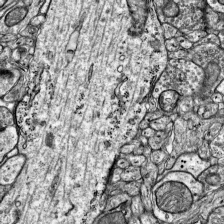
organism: Mouse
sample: Visual Cortex